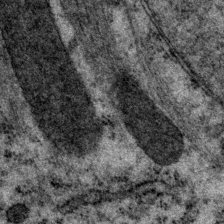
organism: P. pacificus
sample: Pharynx